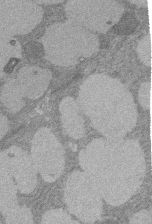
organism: Rat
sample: Salivary granule